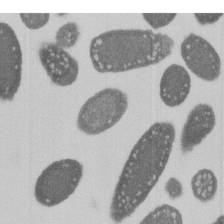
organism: E. coli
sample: Bacterial nucleoid